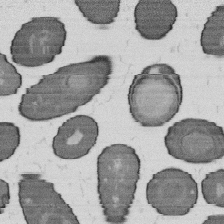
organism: B. subtilis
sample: Bacterial spore